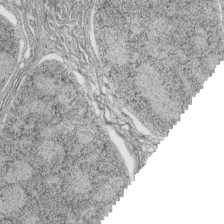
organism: Zebrafish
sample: synaptic ribbons in rod cells and cone cells